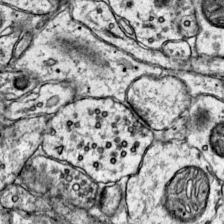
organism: Mouse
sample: Primary visual cortex